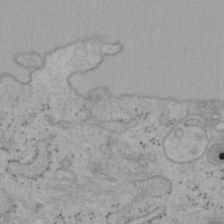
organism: Human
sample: HeLa cells